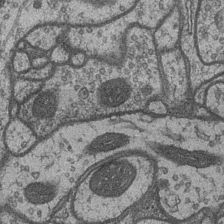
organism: Drosophila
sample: Optic medulla